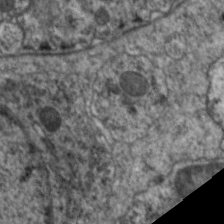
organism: C. elegans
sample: Pharynx